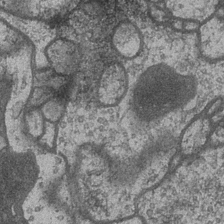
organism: Drosophila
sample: Optic medulla